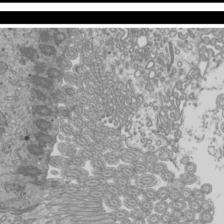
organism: Mouse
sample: Cilia; mouse epididymis